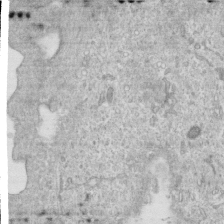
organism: Human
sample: Centriole in RPE cells